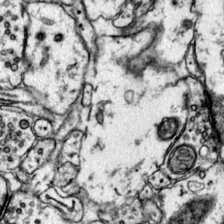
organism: Mouse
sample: Primary visual cortex